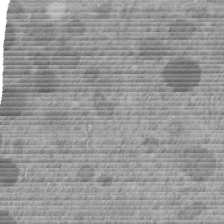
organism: C. elegans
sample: C. elegans embryo early stage